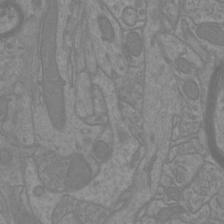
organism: Mouse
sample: Cortical neurons